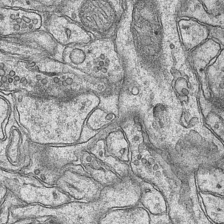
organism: Mouse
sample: CA1 Hippocampus